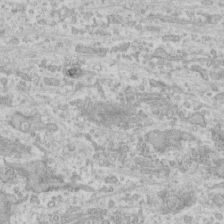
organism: Human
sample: CRL-1474